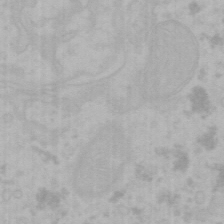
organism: Mouse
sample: Choroid plexus